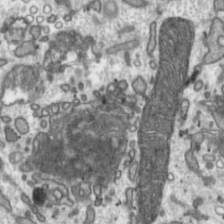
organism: Toxoplasma gondii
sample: Parasites in a vacuole inside a host cell